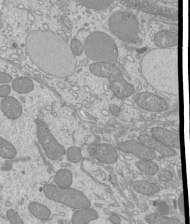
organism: Mouse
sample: Cilia; mouse epididymis